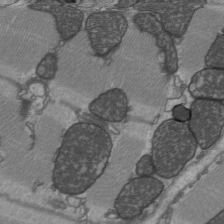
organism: C57BL Mouse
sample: Heart